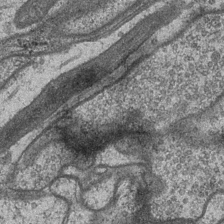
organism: Drosophila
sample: Optic medulla